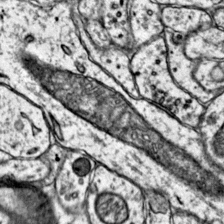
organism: Mouse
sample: Primary visual cortex